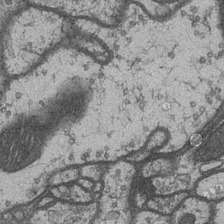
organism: Drosophila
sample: Optic medulla